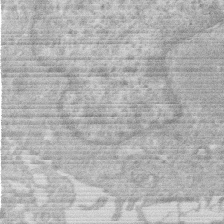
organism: Human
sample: Macrophage cells